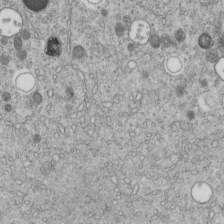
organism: C. elegans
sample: C. elegans embryo early stage